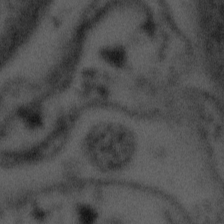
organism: Tuwongella immobilis